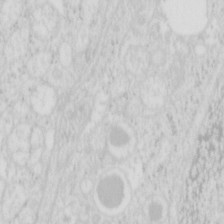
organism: Mouse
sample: Pancreas